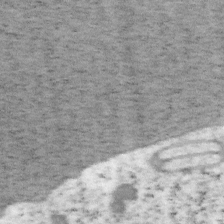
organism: Mouse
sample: OT-I killer T cells with ID8 ovarian cancer cells